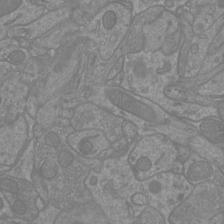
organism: Mouse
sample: Cortical neurons